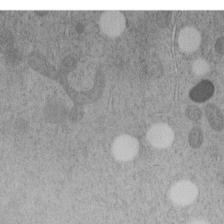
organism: C. elegans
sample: C. elegans embryo early stage